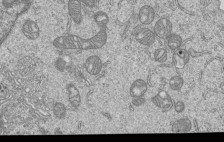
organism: Human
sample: MDA-MB-231 cells